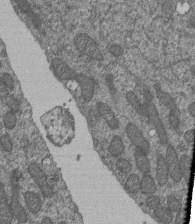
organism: Human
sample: Retinal organoid Rod and Cone cells